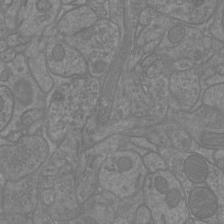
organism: Mouse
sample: Cortical neurons